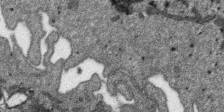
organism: Human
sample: Lung epithelial cells infected with SARS-CoV-2